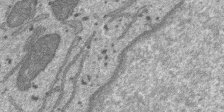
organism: Human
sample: Lung epithelial cells infected with SARS-CoV-2